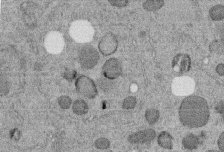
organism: C. elegans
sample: C. elegans embryo early stage